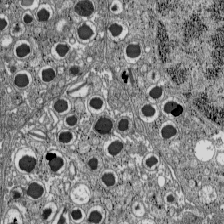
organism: C57BL Mouse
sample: Pancreatic islet